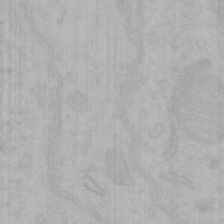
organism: Mouse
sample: Choroid plexus